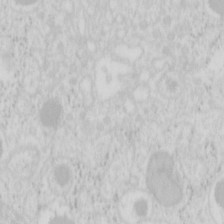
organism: Mouse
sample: Pancreas